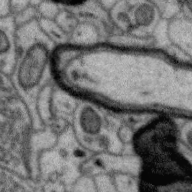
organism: Zebra finch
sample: Brain